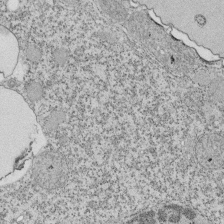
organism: Tetrahymena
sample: Cilia in tetrahymena